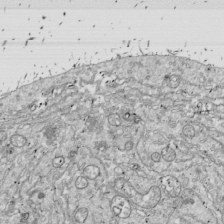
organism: Drosophila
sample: Cell division; meiosis; drosophila spermatocytes